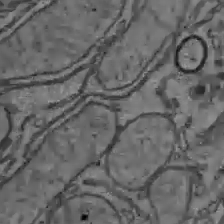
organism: C57BL Mouse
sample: Liver